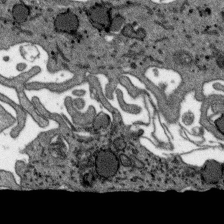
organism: Human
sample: Lung epithelial cells, uninfected (mock) control